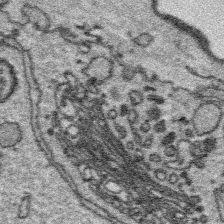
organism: Platynereis dumerilii